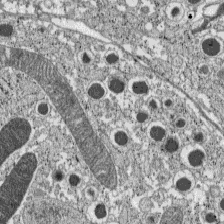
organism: C57BL Mouse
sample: Pancreatic islet